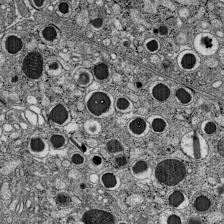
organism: C57BL Mouse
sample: Pancreatic islet